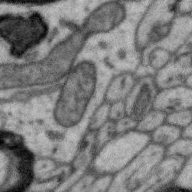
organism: Zebra finch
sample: Brain